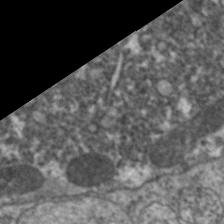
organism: C. elegans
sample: Pharynx